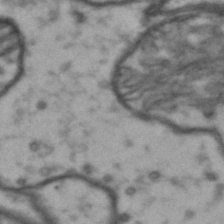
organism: Drosophila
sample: Brain